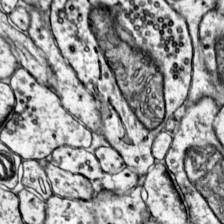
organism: Mouse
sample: Primary visual cortex